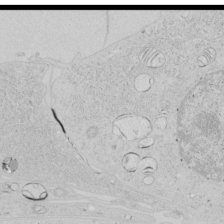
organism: Human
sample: Mitochondria in HCT116 cells